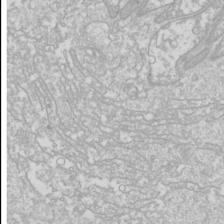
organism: Drosophila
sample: Cell division; meiosis; drosophila spermatocytes